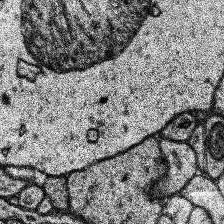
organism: Human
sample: Temporal Lobe